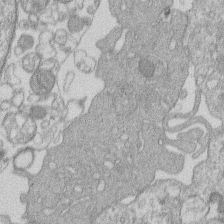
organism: Human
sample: Macrophage cells